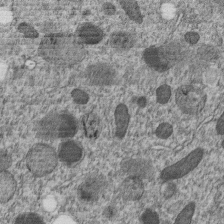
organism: C. elegans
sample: C. elegans embryo early stage